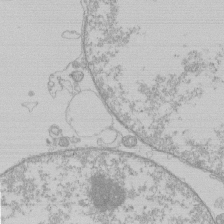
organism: Human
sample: Macrophage cells